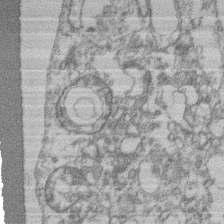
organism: Mouse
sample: T cell stromal cell synapse